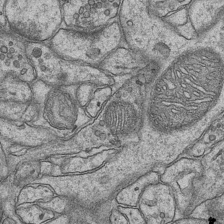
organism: Mouse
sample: CA1 Hippocampus